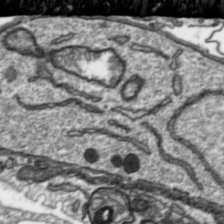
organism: Toxoplasma gondii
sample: Parasites in a vacuole inside a host cell